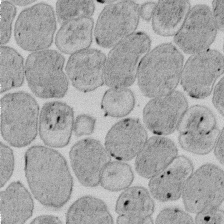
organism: E. coli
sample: Bacterial nucleoid